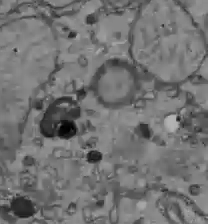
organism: C57BL Mouse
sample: Liver